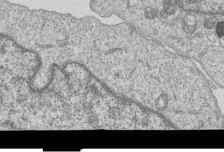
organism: Human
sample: MDA-MB-231 cells